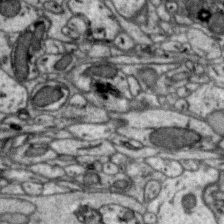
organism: Zebra finch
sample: Brain